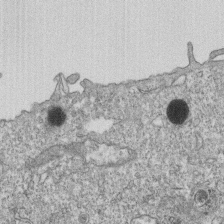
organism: Human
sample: HeLa cell HIV synapse